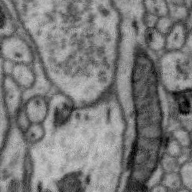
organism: Zebra finch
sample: Brain